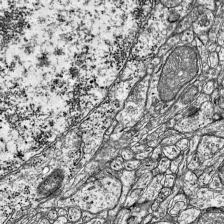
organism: Mouse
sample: Visual Cortex